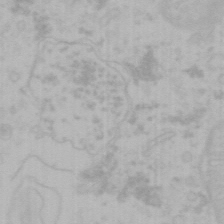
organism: Mouse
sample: Choroid plexus